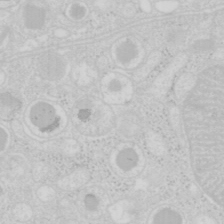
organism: Mouse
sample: Pancreas